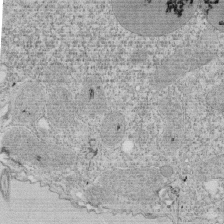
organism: Tetrahymena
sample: Cilia in tetrahymena